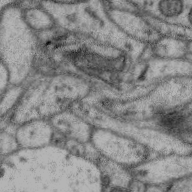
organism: Zebra finch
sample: Brain